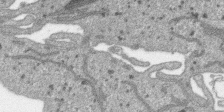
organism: Human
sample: Lung epithelial cells infected with SARS-CoV-2